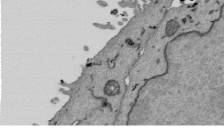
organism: Mouse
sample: ED-1 cell nuclei; centrioles